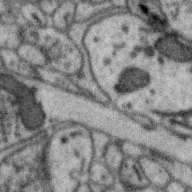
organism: Zebra finch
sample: Brain